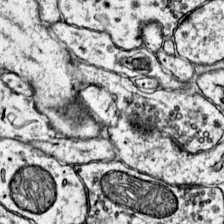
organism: Mouse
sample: Primary visual cortex